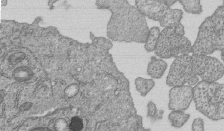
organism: Human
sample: MDA-MB-231 cells